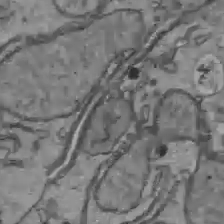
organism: C57BL Mouse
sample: Liver